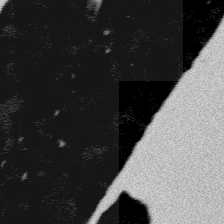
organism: Platynereis dumerilii